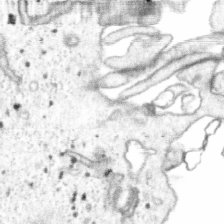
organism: Human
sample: HeLa cells